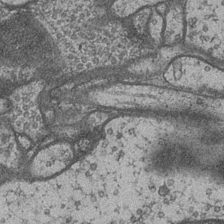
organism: Drosophila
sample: Optic medulla